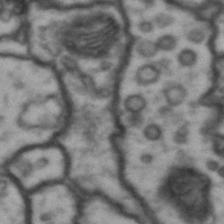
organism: Drosophila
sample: Brain